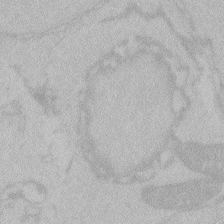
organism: Zebrafish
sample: Macrophage infected with Toxoplasma gondii